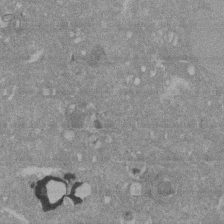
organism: Mouse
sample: ED-1 cell nuclei; centrioles